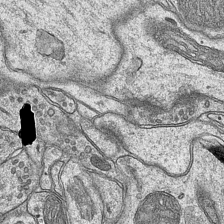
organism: Mouse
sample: CA1 Hippocampus